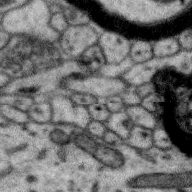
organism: Zebra finch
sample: Brain